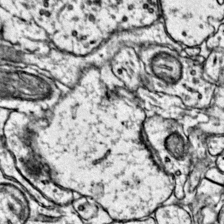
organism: Mouse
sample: Primary visual cortex